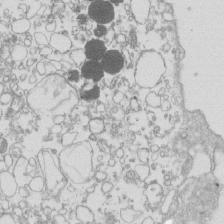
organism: Mouse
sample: Macrophages